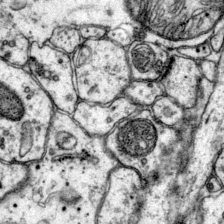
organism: Mouse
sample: Primary visual cortex